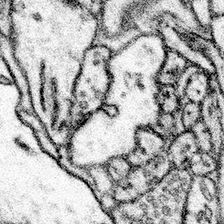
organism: Mouse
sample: Somatosensory cortex neuropil